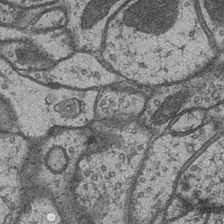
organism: Drosophila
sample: Optic medulla